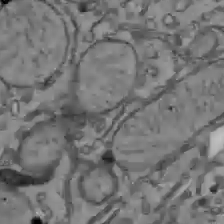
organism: C57BL Mouse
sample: Liver